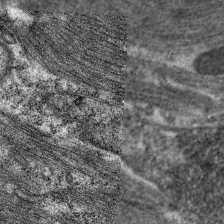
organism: C. elegans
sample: Pharynx